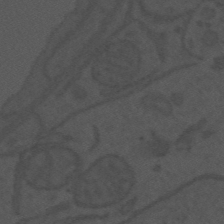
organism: Mouse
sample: Suprachiasmatic nucleus